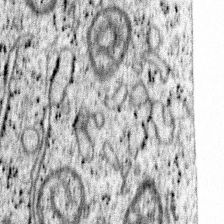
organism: Human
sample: HeLa cells